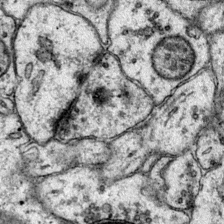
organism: Mouse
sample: Primary visual cortex